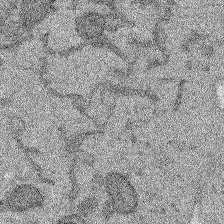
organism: Human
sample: HeLa cells